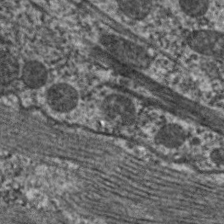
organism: C. elegans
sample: Pharynx